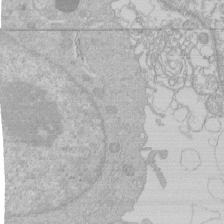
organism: Human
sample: Macrophage cells